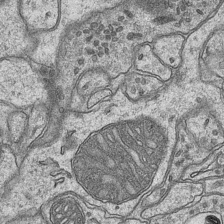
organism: Mouse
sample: CA1 Hippocampus